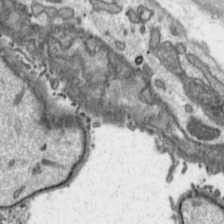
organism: Toxoplasma gondii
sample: Parasites in a vacuole inside a host cell